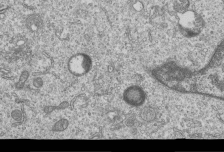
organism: Human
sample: MDA-MB-231 cells